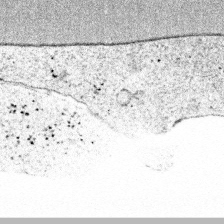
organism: Human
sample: HeLa cells